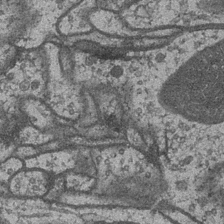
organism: Drosophila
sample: Optic medulla